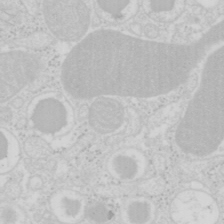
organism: Mouse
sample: Pancreas